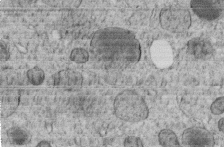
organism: C. elegans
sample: C. elegans embryo early stage